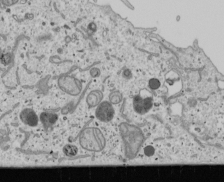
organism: Human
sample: Mitochondria in U2OS cells